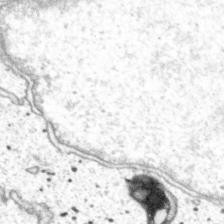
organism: Human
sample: HeLa cells